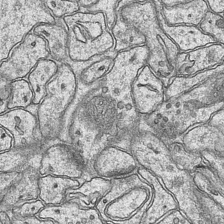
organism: Mouse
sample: CA1 Hippocampus